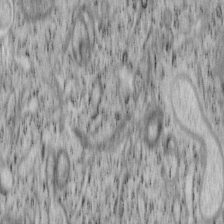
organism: Human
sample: HeLa cells